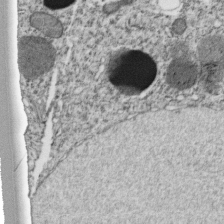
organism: C. elegans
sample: C. elegans embryo early stage